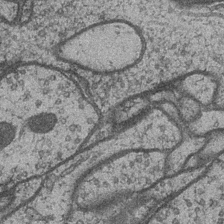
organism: Drosophila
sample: Optic medulla